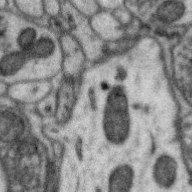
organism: Zebra finch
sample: Brain